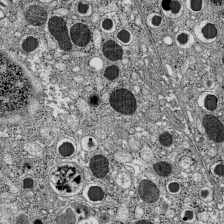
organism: C57BL Mouse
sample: Pancreatic islet